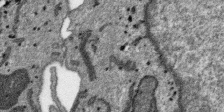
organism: Human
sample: Lung epithelial cells, uninfected (mock) control